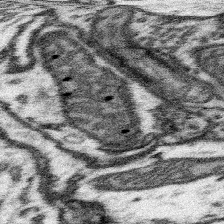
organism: Mouse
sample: Somatosensory cortex neuropil